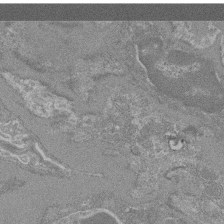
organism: Mouse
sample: Glomerulus